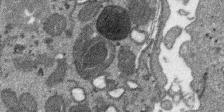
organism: Human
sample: Lung epithelial cells infected with SARS-CoV-2